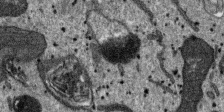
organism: Human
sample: Lung epithelial cells, uninfected (mock) control